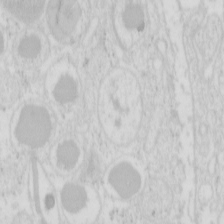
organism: Mouse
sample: Pancreas